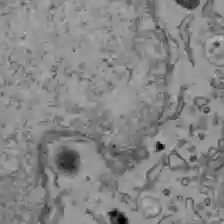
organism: C57BL Mouse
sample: Liver